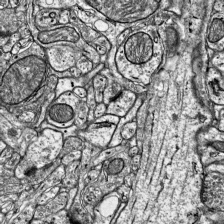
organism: Mouse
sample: Visual Cortex